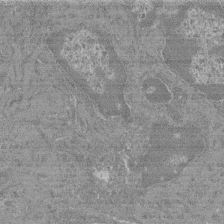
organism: Mouse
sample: Glomerulus